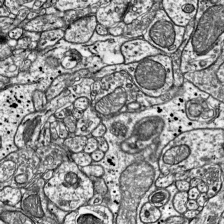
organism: Mouse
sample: Visual Cortex